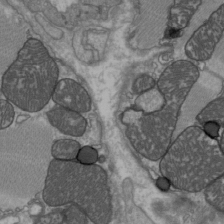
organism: C57BL Mouse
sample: Heart